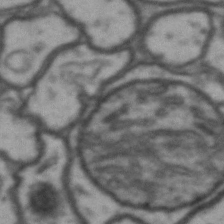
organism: Drosophila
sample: Brain